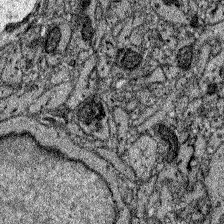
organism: Zebrafish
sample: Larval olfactory bulb